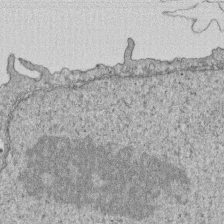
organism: Human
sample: HeLa cell HIV synapse